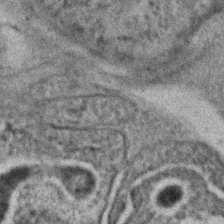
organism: C. elegans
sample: C. elegans embryo